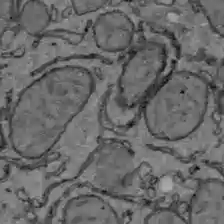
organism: C57BL Mouse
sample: Liver